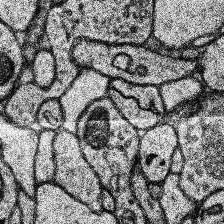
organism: Human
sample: Temporal Lobe